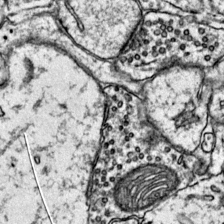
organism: Mouse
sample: Primary visual cortex